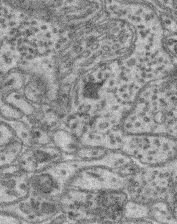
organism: Mouse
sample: Retina